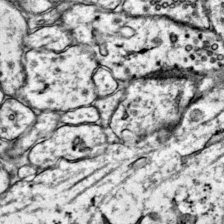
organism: Mouse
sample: Primary visual cortex